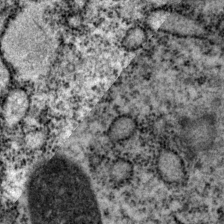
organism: P. pacificus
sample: Pharynx